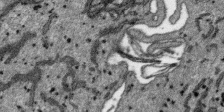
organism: Human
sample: Lung epithelial cells, uninfected (mock) control